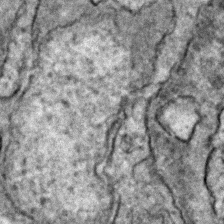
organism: Zebrafish